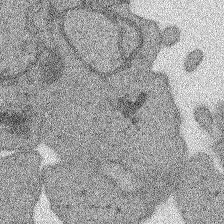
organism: Human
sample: HeLa cells